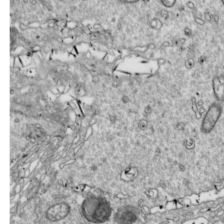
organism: Drosophila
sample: Cell division; meiosis; drosophila spermatocytes